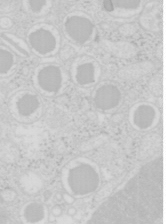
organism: Mouse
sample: Pancreas